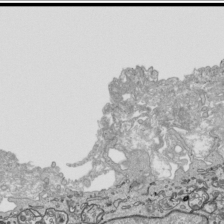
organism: Human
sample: Mitochondria in HCT116 cells